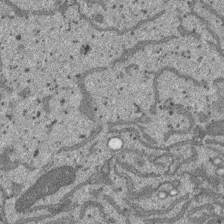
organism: Human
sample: Lung epithelial cells infected with SARS-CoV-2